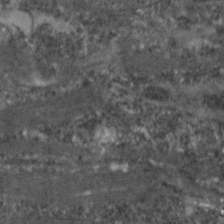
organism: Zebrafish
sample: Zebrafish embryo